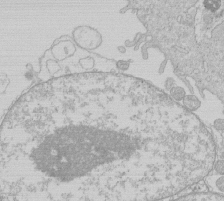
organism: Human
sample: Macrophage cells